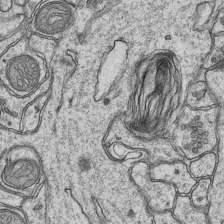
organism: Mouse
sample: CA1 Hippocampus